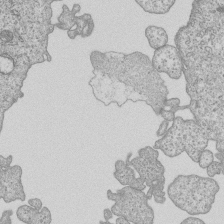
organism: Human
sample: MDA-MB-231 cells